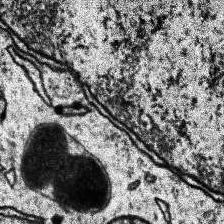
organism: Human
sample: Temporal Lobe